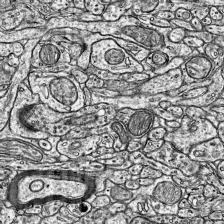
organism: Mouse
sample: Visual Cortex